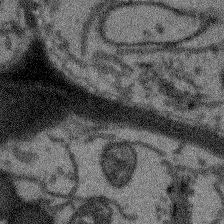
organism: Arabidopsis thaliana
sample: Root tip